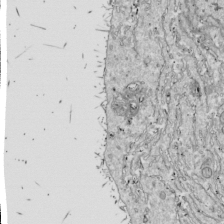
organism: Drosophila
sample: Cell division; meiosis; drosophila spermatocytes